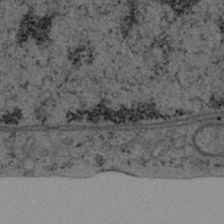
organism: Human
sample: HeLa cells